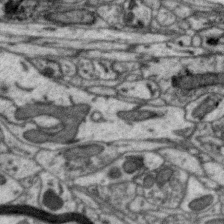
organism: Zebra finch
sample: Brain